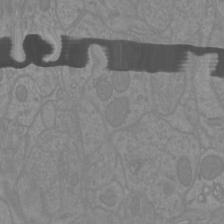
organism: Mouse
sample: Cortical neurons